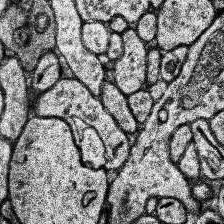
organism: Human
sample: Temporal Lobe